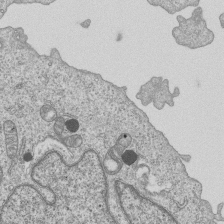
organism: Human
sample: MDA-MB-231 cells